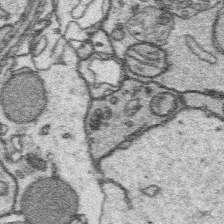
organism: Platynereis dumerilii